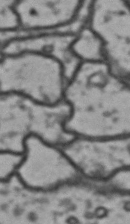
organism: Drosophila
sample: Brain